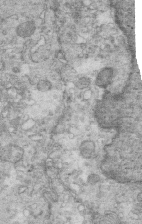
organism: Mouse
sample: Multiciliated cells